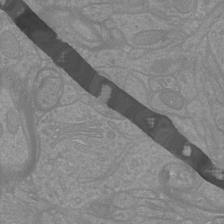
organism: Mouse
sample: Cortical neurons